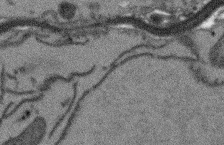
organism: Arabidopsis thaliana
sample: Root tip